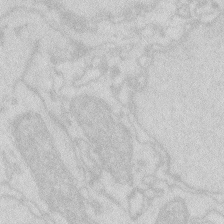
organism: Zebrafish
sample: Macrophage